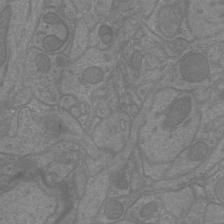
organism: Mouse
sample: Cortical neurons